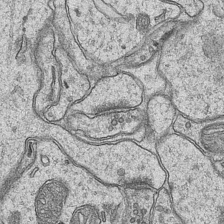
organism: Mouse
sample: CA1 Hippocampus